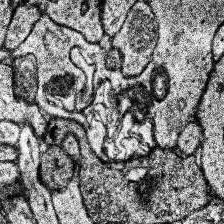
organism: Human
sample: Temporal Lobe